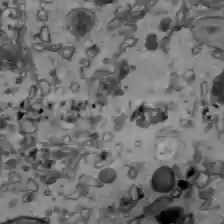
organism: C57BL Mouse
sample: Liver